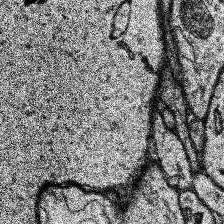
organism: Human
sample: Temporal Lobe